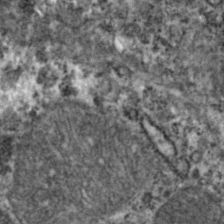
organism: Zebrafish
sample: Zebrafish embryo